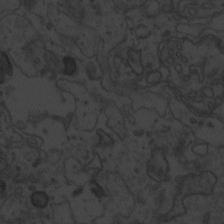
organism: Zebrafish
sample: Macrophage infected with Toxoplasma gondii